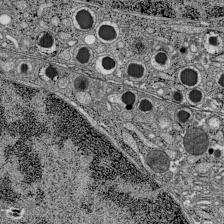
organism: C57BL Mouse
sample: Pancreatic islet